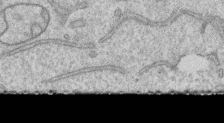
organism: Human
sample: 1205lu cells